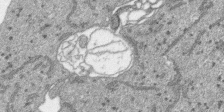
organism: Human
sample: Lung epithelial cells infected with SARS-CoV-2